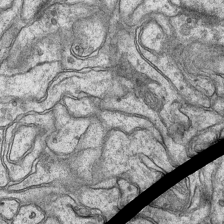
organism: Mouse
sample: CA1 Hippocampus